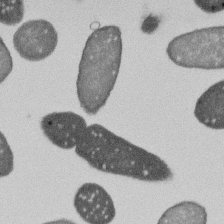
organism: E. coli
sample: Bacterial nucleoid